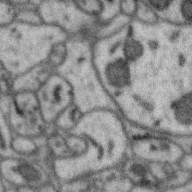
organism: Zebra finch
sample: Brain